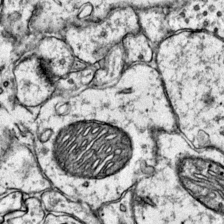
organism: Mouse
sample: Primary visual cortex